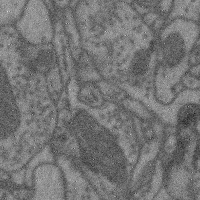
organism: Mouse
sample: Cerebral cortex